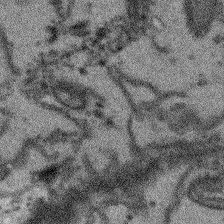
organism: Arabidopsis thaliana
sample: Root tip